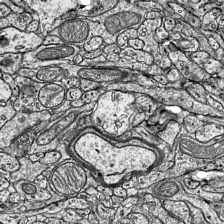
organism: Mouse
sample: Visual Cortex